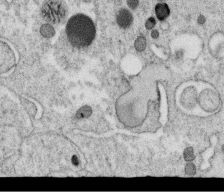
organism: C. elegans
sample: C. elegans oocyte; sperm cells